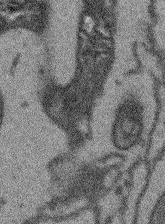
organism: Arabidopsis thaliana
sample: Root tip